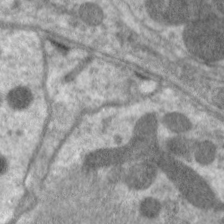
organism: C. elegans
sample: Pharynx